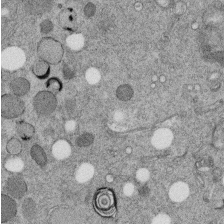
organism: C. elegans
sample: C. elegans embryo early stage